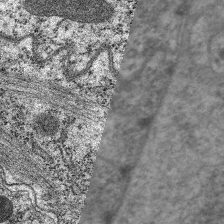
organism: C. elegans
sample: Pharynx